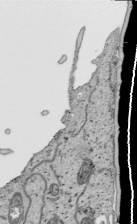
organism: Human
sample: Mitochondria in HCT116 cells